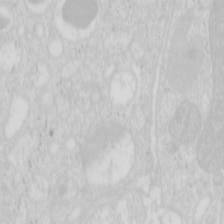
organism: Mouse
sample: Pancreas